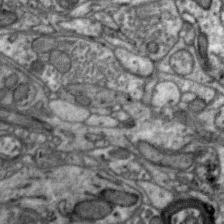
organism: Zebra finch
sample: Brain